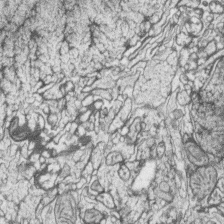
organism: Zebrafish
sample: synaptic ribbons in rod cells and cone cells